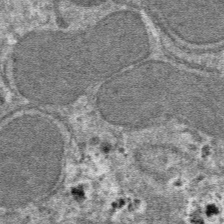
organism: Mouse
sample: Mouse hepatocytes